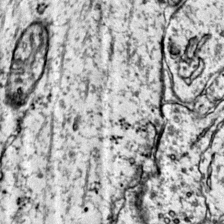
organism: Mouse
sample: Primary visual cortex